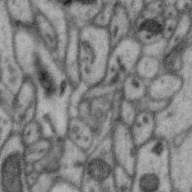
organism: Zebra finch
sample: Brain